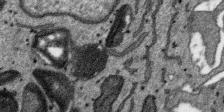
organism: Human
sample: Lung epithelial cells, uninfected (mock) control